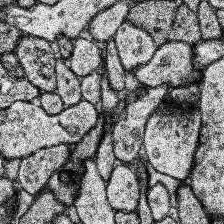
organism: Human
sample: Temporal Lobe